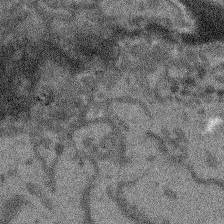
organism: Arabidopsis thaliana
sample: Root tip